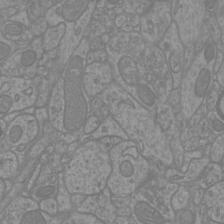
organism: Mouse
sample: Cortical neurons